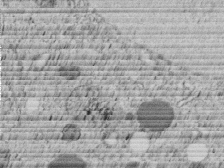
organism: C. elegans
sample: C. elegans embryo early stage